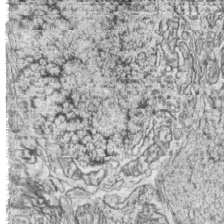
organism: Zebrafish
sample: synaptic ribbons in rod cells and cone cells